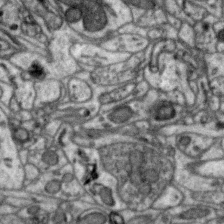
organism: Zebra finch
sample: Brain